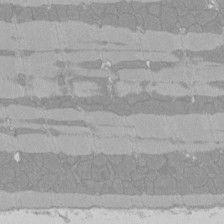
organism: Rat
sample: Left ventricle